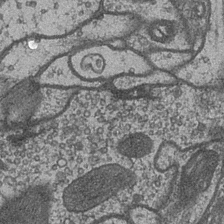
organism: Drosophila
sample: Optic medulla